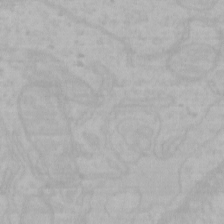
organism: Mouse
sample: Choroid plexus